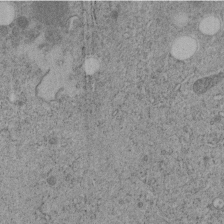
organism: C. elegans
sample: C. elegans embryo early stage